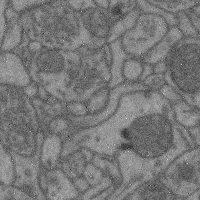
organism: Mouse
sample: Cerebral cortex